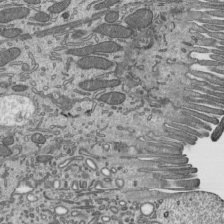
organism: Mouse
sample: Mouse epididymis efferent ductule cilia